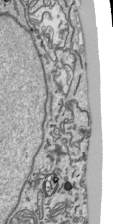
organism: Human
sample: Mitochondria in HCT116 cells